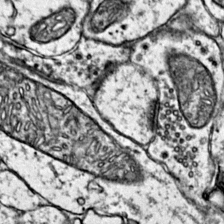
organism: Mouse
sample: Primary visual cortex